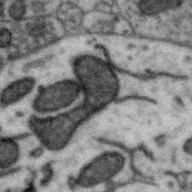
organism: Zebra finch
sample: Brain